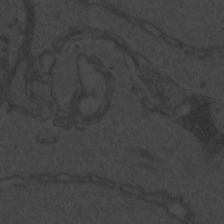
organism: Zebrafish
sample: Macrophage infected with Toxoplasma gondii